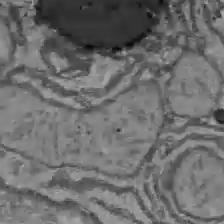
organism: C57BL Mouse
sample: Liver